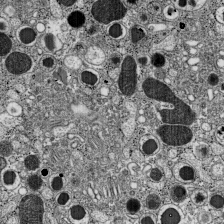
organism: C57BL Mouse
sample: Pancreatic islet